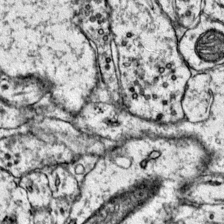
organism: Mouse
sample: Primary visual cortex